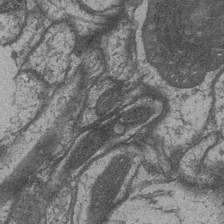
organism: Drosophila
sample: Optic medulla